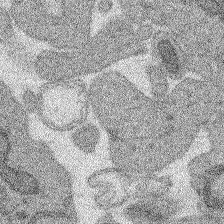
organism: Human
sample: HeLa cells